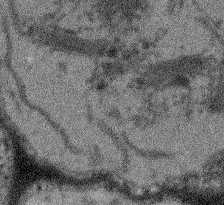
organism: Arabidopsis thaliana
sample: Root tip